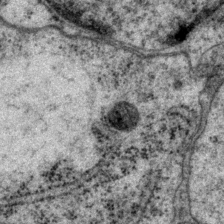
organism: P. pacificus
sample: Pharynx